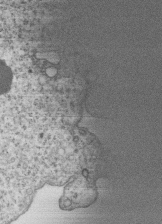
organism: Human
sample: MDA-MB-231 cells